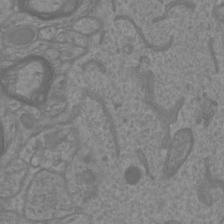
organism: Mouse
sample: Cortical neurons